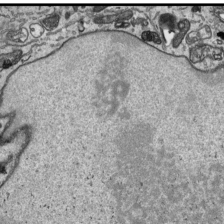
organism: Human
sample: Mitochondria in HCT116 cells